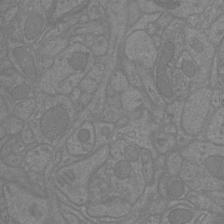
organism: Mouse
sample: Cortical neurons